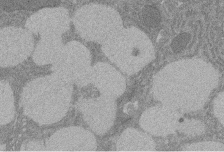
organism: Rat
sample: Salivary granule